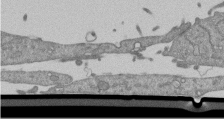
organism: Mouse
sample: ED-1 cell nuclei; centrioles